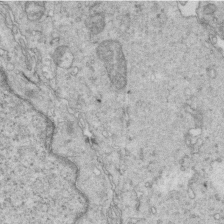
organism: Mouse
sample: Multiciliated cells